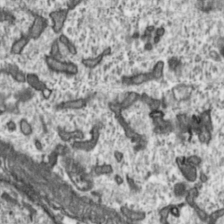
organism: Toxoplasma gondii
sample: Parasites in a vacuole inside a host cell